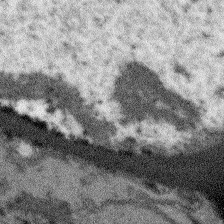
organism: Arabidopsis thaliana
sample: Root tip